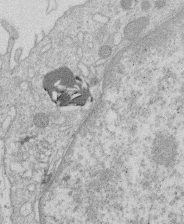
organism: Human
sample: Macrophage cells